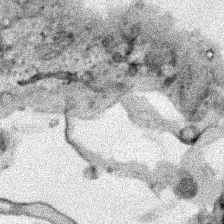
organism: Human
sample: Mitochondria in HCT116 cells